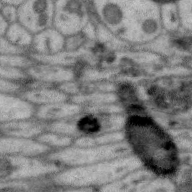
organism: Zebra finch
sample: Brain